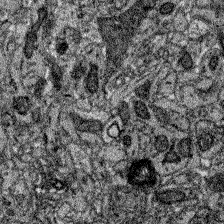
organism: Zebrafish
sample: Larval olfactory bulb